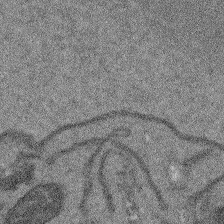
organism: Arabidopsis thaliana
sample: Root tip